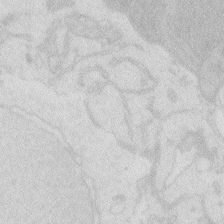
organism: Zebrafish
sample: Macrophage